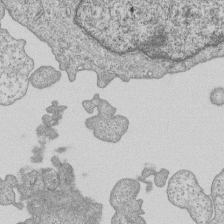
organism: Human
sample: MDA-MB-231 cells